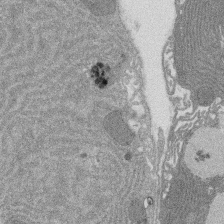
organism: Rat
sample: Salivary granule